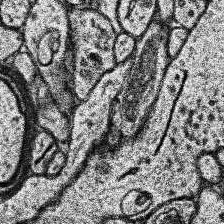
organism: Human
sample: Temporal Lobe